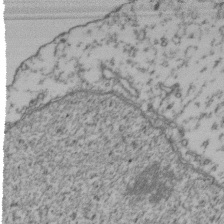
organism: Human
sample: Activated Jurkat CD4+ T cells